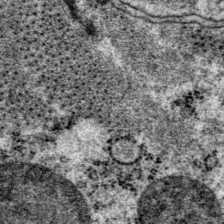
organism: P. pacificus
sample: Pharynx